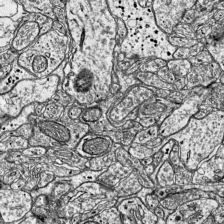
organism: Mouse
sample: Visual Cortex